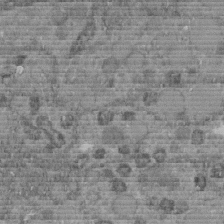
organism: C. elegans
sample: C. elegans embryo early stage